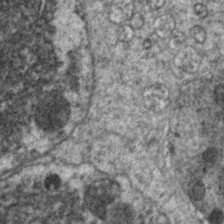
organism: C. elegans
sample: Pharynx